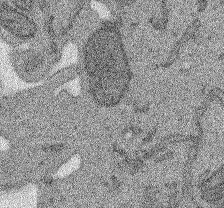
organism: Human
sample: HeLa cells